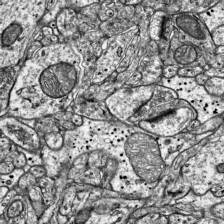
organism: Mouse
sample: Visual Cortex